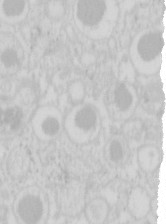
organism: Mouse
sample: Pancreas